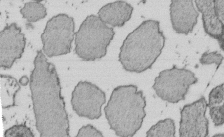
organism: E. coli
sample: Bacterial nucleoid